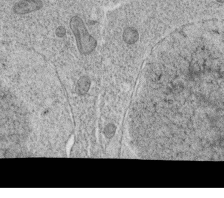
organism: C. elegans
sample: C. elegans oocyte; sperm cells